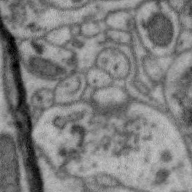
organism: Zebra finch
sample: Brain